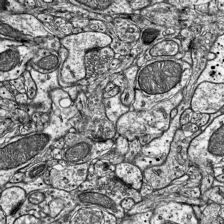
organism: Mouse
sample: Visual Cortex